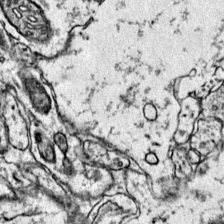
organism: Mouse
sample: Primary visual cortex